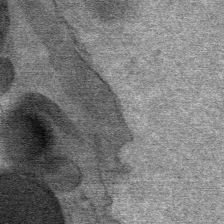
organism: Mouse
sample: Mouse Salivary gland